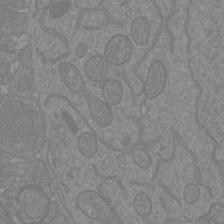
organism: Mouse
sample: Cortical neurons